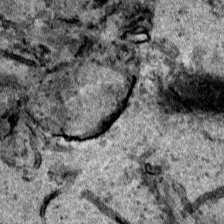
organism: Human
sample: Mitochondria in HCT116 cells